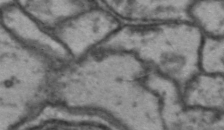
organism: Drosophila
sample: Brain